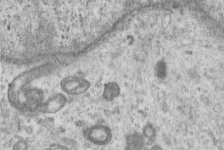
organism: Human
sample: Centriole in RPE cells